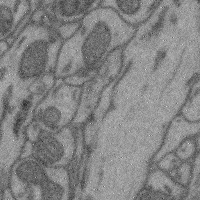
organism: Mouse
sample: Cerebral cortex